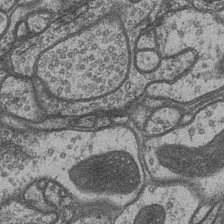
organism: Drosophila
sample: Optic medulla